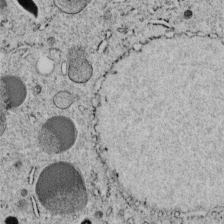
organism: C. elegans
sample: C. elegans embryo early stage